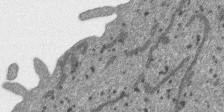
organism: Human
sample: Lung epithelial cells infected with SARS-CoV-2